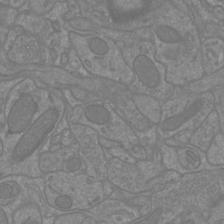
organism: Mouse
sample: Cortical neurons